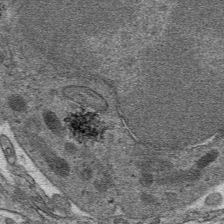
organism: Mouse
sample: Mouse hepatocytes